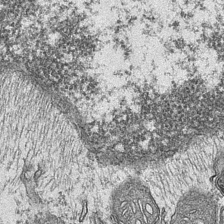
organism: Mouse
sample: CA1 Hippocampus